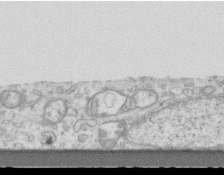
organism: Mouse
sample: Centriole in ependymal cells